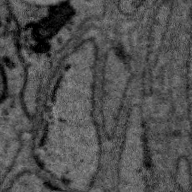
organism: Zebra finch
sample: Brain